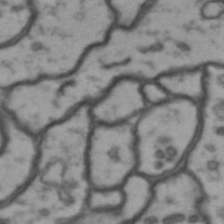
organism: Drosophila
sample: Brain